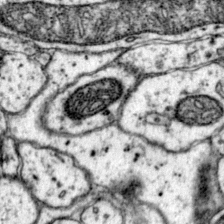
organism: Mouse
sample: Primary visual cortex